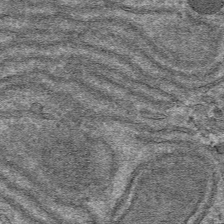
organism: Mouse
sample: Mouse hepatocytes